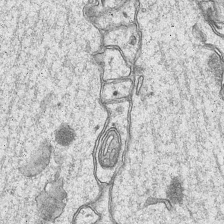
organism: Mouse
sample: CA1 Hippocampus